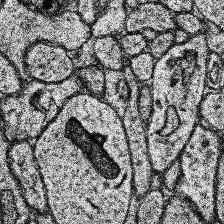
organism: Human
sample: Temporal Lobe